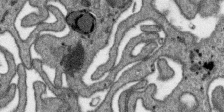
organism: Human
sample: Lung epithelial cells, uninfected (mock) control